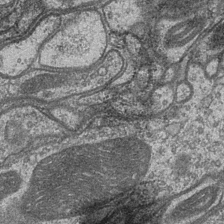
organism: Drosophila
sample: Optic medulla